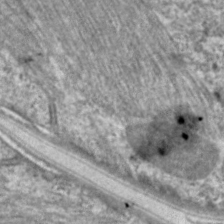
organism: C. elegans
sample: Pharynx